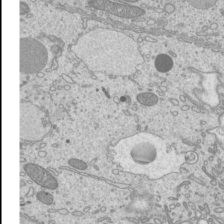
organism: Mouse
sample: Cilia; mouse epididymis